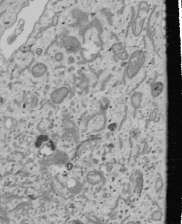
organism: Human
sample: Mitochondria in U2OS cells